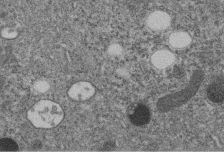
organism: C. elegans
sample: C. elegans embryo early stage